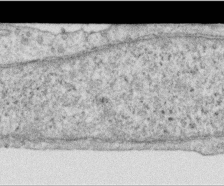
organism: Human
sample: Centriole in RPE cells